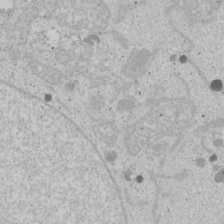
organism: Human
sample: Mitochondria in U2OS cells